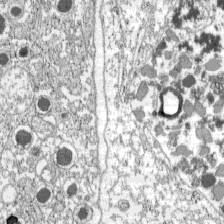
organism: C57BL Mouse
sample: Pancreatic islet